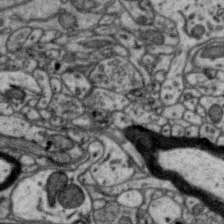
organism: Zebra finch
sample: Brain